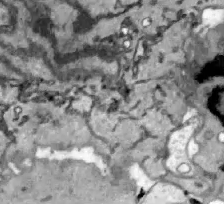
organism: Zebrafish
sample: Actinotrichia fibers